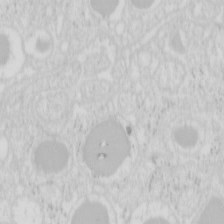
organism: Mouse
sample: Pancreas